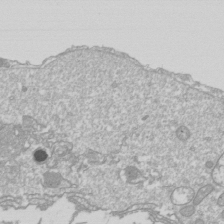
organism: Drosophila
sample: Cell division; meiosis; drosophila spermatocytes